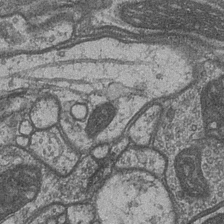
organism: Drosophila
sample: Optic medulla